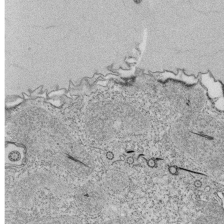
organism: Tetrahymena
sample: Cilia in tetrahymena